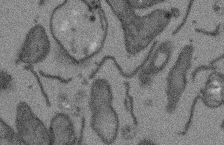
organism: Arabidopsis thaliana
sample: Root tip